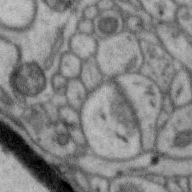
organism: Zebra finch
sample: Brain